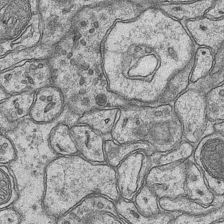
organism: Mouse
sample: CA1 Hippocampus